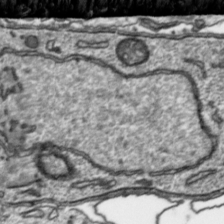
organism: Toxoplasma gondii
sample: Parasites in a vacuole inside a host cell